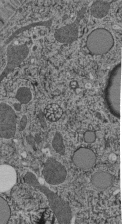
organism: C. elegans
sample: C. elegans pharynx